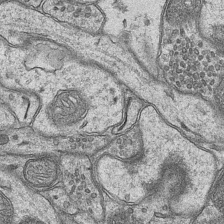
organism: Mouse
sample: CA1 Hippocampus